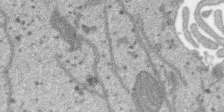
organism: Human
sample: Lung epithelial cells infected with SARS-CoV-2